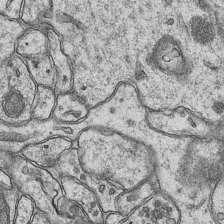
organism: Mouse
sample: CA1 Hippocampus